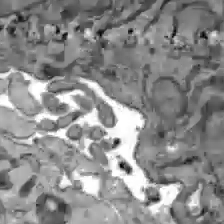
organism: C57BL Mouse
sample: Liver